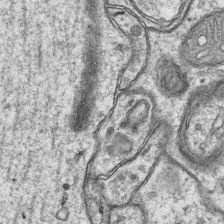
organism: Mouse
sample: CA1 Hippocampus